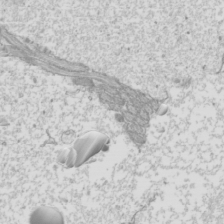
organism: Mouse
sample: Cilia; mouse epididymis